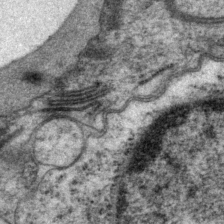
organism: P. pacificus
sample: Pharynx